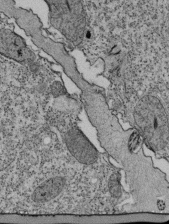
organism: Tetrahymena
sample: Cilia in tetrahymena